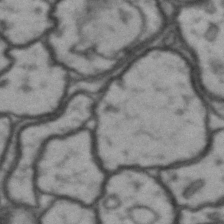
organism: Drosophila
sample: Brain